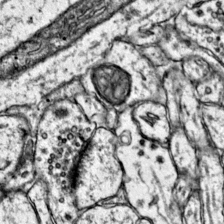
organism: Mouse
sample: Primary visual cortex